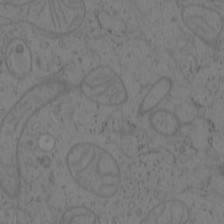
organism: Human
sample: HeLa cells